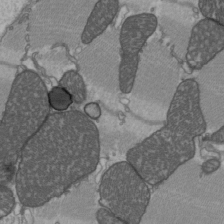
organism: C57BL Mouse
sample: Heart